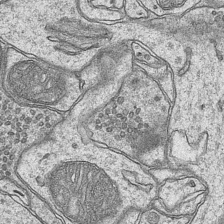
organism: Mouse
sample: CA1 Hippocampus